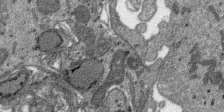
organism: Human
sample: Lung epithelial cells infected with SARS-CoV-2